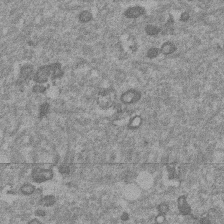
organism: Mouse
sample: Dividing mouse embryo 1 cell stage